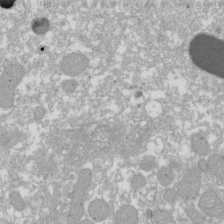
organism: Xenopus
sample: Cilia; centrioles in frog embryo cells